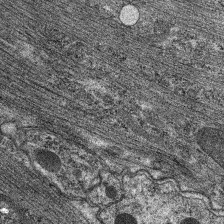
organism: C. elegans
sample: Pharynx